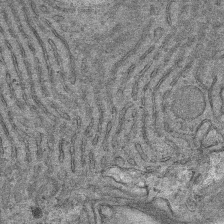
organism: Mouse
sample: Mouse Salivary gland